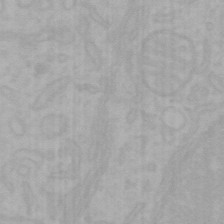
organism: Mouse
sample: Choroid plexus